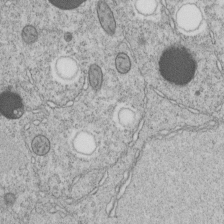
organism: C. elegans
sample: C. elegans embryo early stage